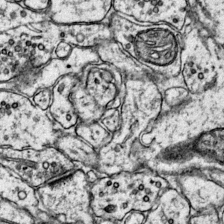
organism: Mouse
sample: Primary visual cortex